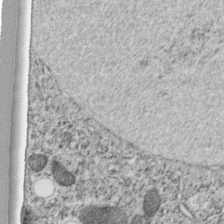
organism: C. elegans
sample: C. elegans embryo early stage